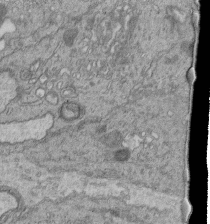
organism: Human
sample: Retinal organoid Rod and Cone cells